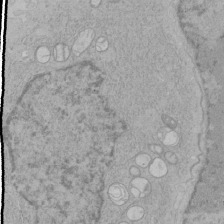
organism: Human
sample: Mitochondria in HCT116 cells